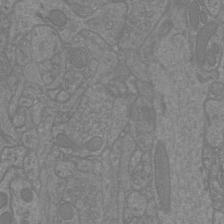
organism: Mouse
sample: Cortical neurons